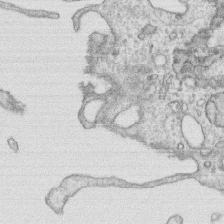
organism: Human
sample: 1205lu cells